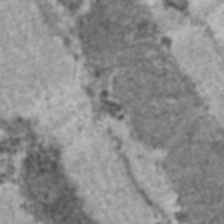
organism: C57BL Mouse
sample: Heart